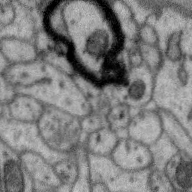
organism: Zebra finch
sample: Brain